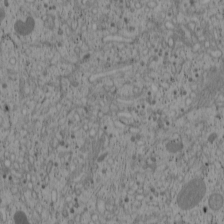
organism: African green monkey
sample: COS-7 cells